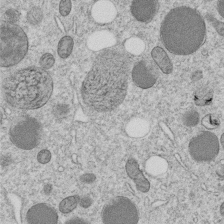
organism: C. elegans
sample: C. elegans embryo early stage